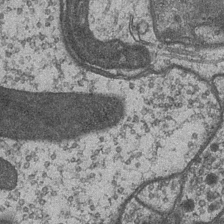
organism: Drosophila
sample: Optic medulla